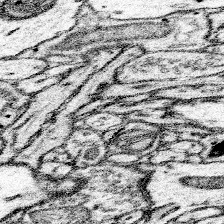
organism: Mouse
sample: Somatosensory cortex neuropil